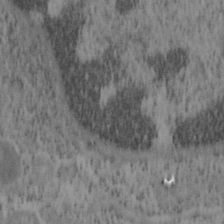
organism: Mouse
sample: OT-I killer T cells with ID8 ovarian cancer cells